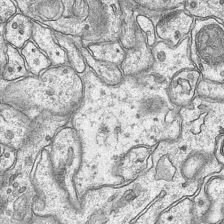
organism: Mouse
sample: CA1 Hippocampus